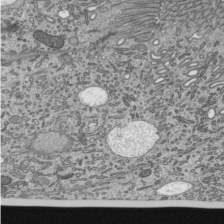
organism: Mouse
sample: Mouse epididymis efferent ductule cilia